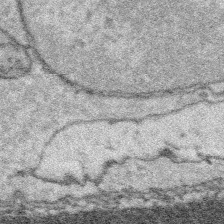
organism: Platynereis dumerilii